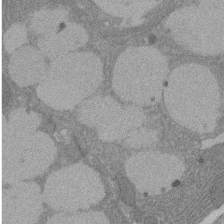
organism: Rat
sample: Salivary granule